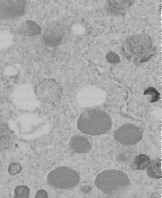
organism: C. elegans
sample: C. elegans embryo early stage